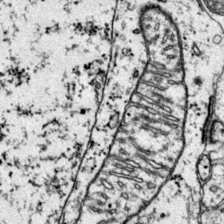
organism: Mouse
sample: Primary visual cortex